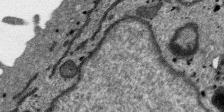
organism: Human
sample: Lung epithelial cells, uninfected (mock) control